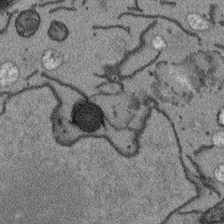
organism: Arabidopsis thaliana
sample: Root tip